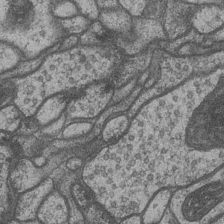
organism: Drosophila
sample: Optic medulla